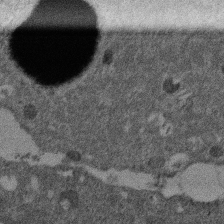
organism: Mouse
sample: Dividing mouse embryo 1 cell stage